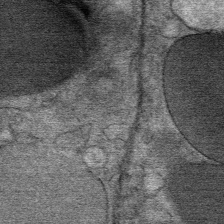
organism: Mouse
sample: Mouse Salivary gland